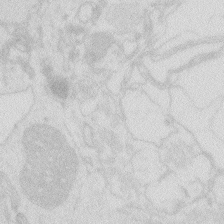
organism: Zebrafish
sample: Macrophage